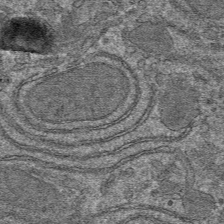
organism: Mouse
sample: Mouse hepatocytes